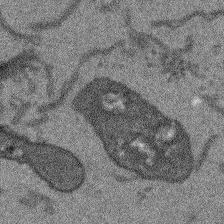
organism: Arabidopsis thaliana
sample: Root tip